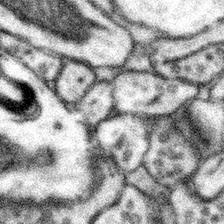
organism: Mouse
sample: Somatosensory cortex neuropil